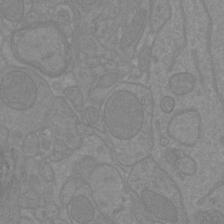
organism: Mouse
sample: Cortical neurons